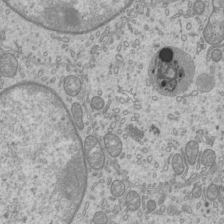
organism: Mouse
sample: Cilia; mouse epididymis